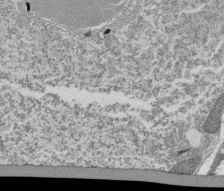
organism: Tetrahymena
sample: Cilia in tetrahymena